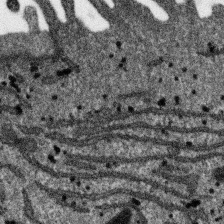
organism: Human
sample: Lung epithelial cells infected with SARS-CoV-2